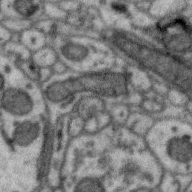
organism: Zebra finch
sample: Brain